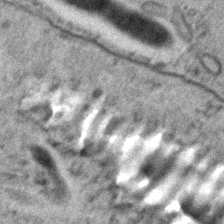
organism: C. elegans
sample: C. elegans embryo